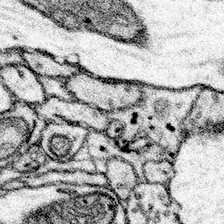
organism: Mouse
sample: Somatosensory cortex neuropil